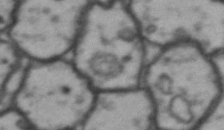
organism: Drosophila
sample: Brain